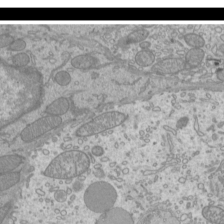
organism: Mouse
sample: Cilia; mouse epididymis